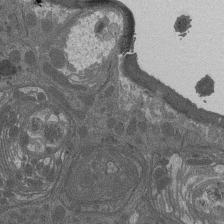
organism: Drosophila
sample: Antenna